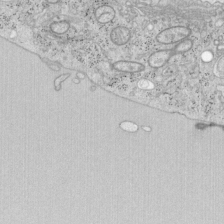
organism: Mouse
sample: OT-I killer T cells with ID8 ovarian cancer cells